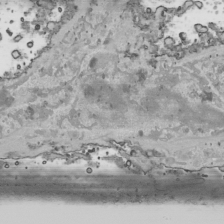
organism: Human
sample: Mitochondria in HCT116 cells